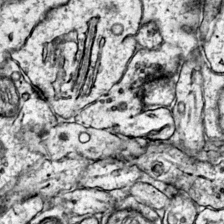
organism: Mouse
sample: Primary visual cortex